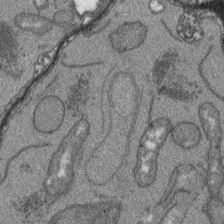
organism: Arabidopsis thaliana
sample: Root tip